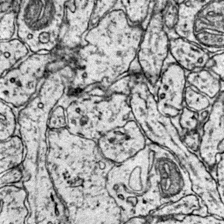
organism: Mouse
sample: Primary visual cortex